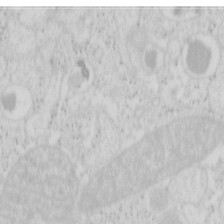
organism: Mouse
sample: Pancreas